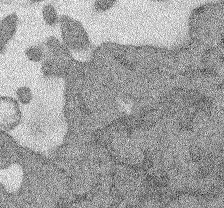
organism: Human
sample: HeLa cells